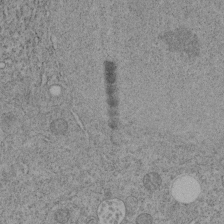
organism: C. elegans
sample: C. elegans embryo early stage